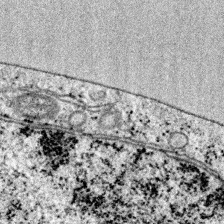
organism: Human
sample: HeLa cells